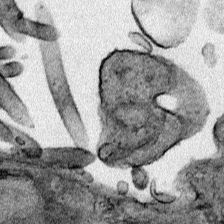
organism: Human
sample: Mitochondria in HCT116 cells